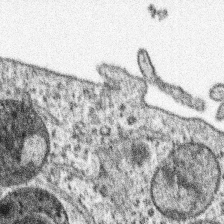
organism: Human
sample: HeLa cells